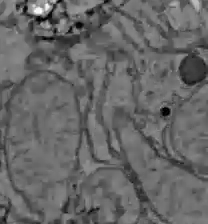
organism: C57BL Mouse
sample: Liver